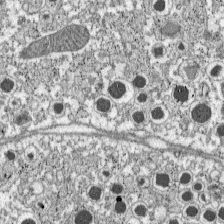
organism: C57BL Mouse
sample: Pancreatic islet